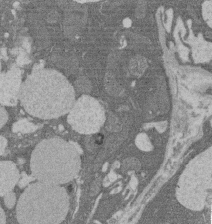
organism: Rat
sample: Salivary granule